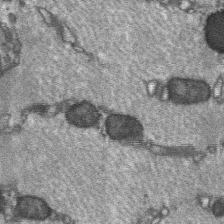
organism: C57BL Mouse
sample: Soleus